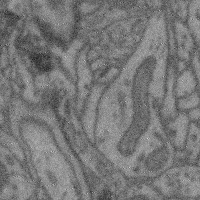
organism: Mouse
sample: Cerebral cortex